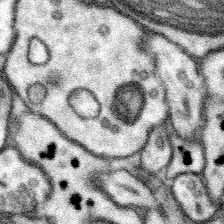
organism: Mouse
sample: Somatosensory cortex neuropil